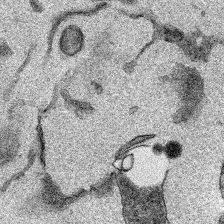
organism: Mouse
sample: Cancer cell death in ED-1 cells